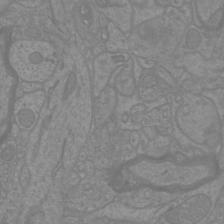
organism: Mouse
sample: Cortical neurons